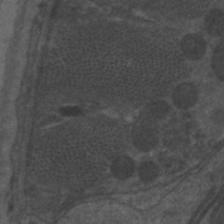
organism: C. elegans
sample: Pharynx